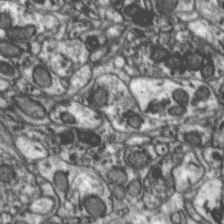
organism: Zebra finch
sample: Brain